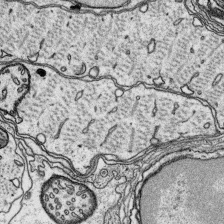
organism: Platynereis dumerilii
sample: Parapodia